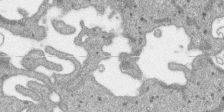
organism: Human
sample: Lung epithelial cells infected with SARS-CoV-2